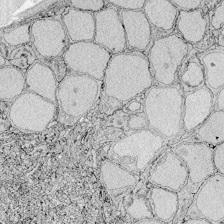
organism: Zebrafish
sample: Whole-Brain